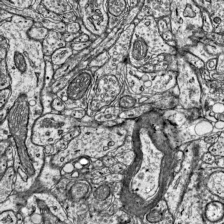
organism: Mouse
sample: Visual Cortex